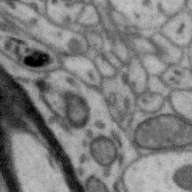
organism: Zebra finch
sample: Brain